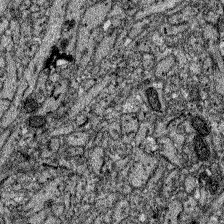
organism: Zebrafish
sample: Larval olfactory bulb